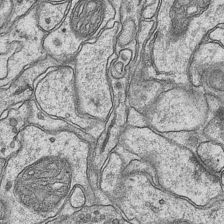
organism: Mouse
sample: CA1 Hippocampus